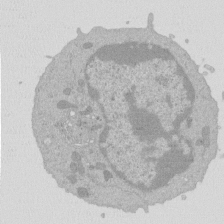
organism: Mouse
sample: Activated Pmel transgenic CD8+ T Cells